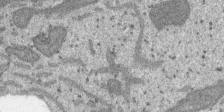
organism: Human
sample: Lung epithelial cells infected with SARS-CoV-2